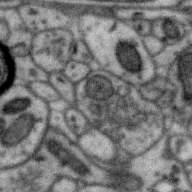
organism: Zebra finch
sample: Brain